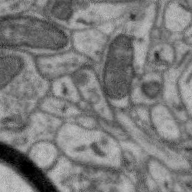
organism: Zebra finch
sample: Brain